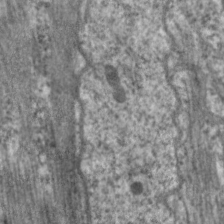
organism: C. elegans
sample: Pharynx